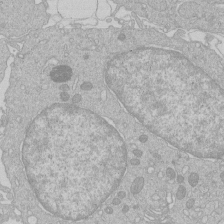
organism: Human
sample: Macrophage cells